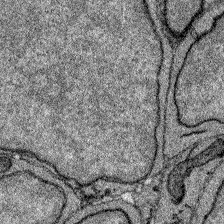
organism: Zebrafish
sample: Larval olfactory bulb